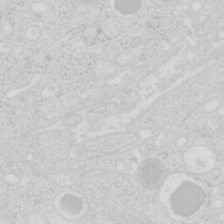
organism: Mouse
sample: Pancreas